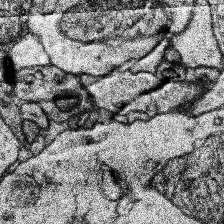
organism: Human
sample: Temporal Lobe